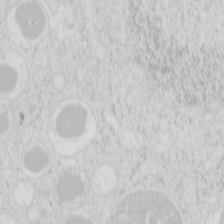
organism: Mouse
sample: Pancreas